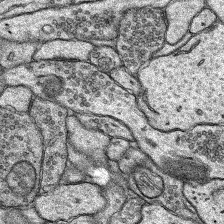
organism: Rat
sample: Hippocampus